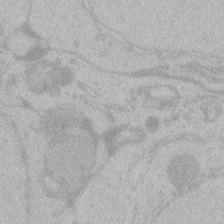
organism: Zebrafish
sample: Macrophage infected with Toxoplasma gondii